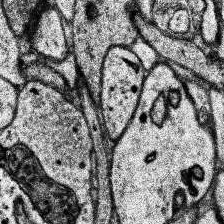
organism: Human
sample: Temporal Lobe